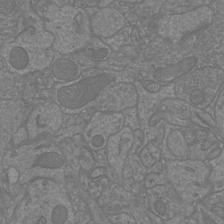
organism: Mouse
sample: Cortical neurons